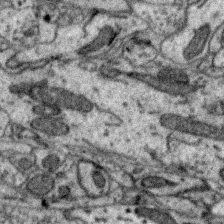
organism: Zebra finch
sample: Brain